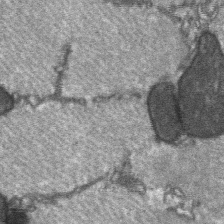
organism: C57BL Mouse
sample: Soleus